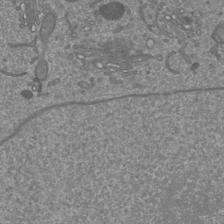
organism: Mouse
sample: Cortical neurons